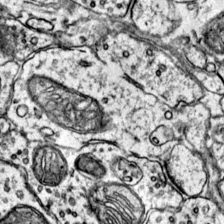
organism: Mouse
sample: Primary visual cortex